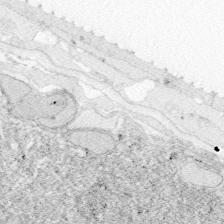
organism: Zebrafish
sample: Whole-Brain